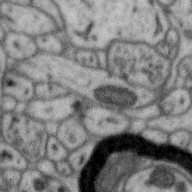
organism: Zebra finch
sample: Brain